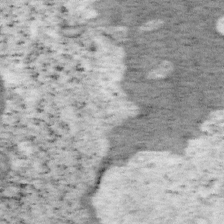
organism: Mouse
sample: OT-I killer T cells with ID8 ovarian cancer cells